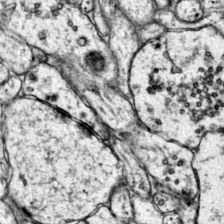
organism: Mouse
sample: Primary visual cortex